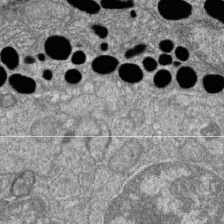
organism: Zebrafish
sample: Cilia; retinal pigment epithelium